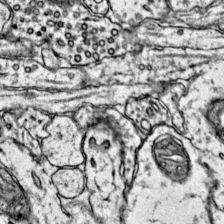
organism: Mouse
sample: Primary visual cortex